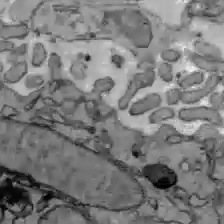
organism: C57BL Mouse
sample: Liver